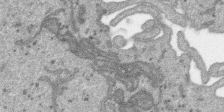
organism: Human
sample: Lung epithelial cells infected with SARS-CoV-2